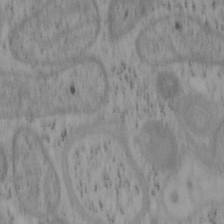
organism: Mouse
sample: OT-I killer T cells with ID8 ovarian cancer cells